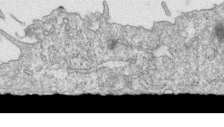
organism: Human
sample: HeLa cell HIV synapse